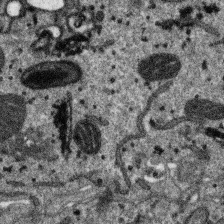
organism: Human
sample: Lung epithelial cells infected with SARS-CoV-2